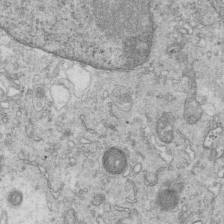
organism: Mouse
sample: Multiciliated cells